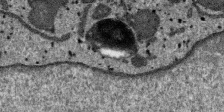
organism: Human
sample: Lung epithelial cells, uninfected (mock) control